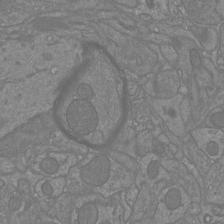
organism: Mouse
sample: Cortical neurons